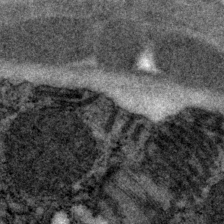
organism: P. pacificus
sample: Pharynx